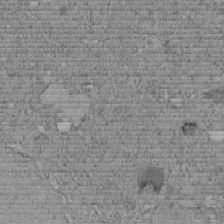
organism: C. elegans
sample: C. elegans embryo early stage